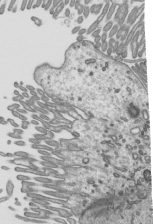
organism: Mouse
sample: Mouse epididymis efferent ductule cilia